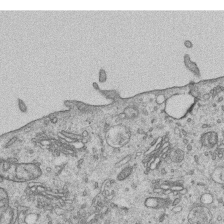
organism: Human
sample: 1205lu cells